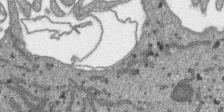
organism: Human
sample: Lung epithelial cells infected with SARS-CoV-2